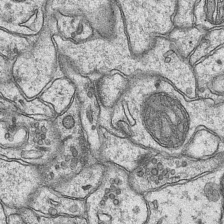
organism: Mouse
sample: CA1 Hippocampus